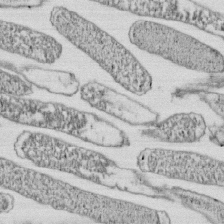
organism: E. coli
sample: Bacterial nucleoid